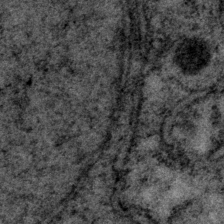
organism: P. pacificus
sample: Pharynx